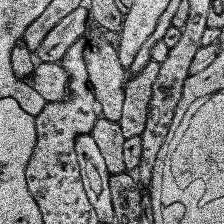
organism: Human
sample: Temporal Lobe